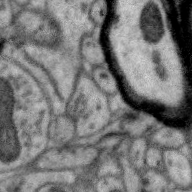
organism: Zebra finch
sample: Brain